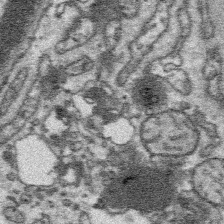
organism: Platynereis dumerilii